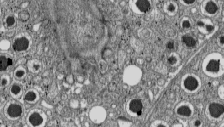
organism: C57BL Mouse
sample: Pancreatic islet